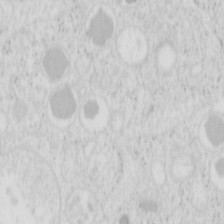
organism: Mouse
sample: Pancreas